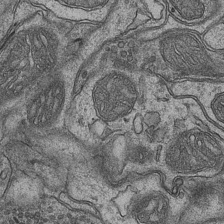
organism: Mouse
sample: CA1 Hippocampus